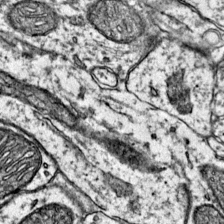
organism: Mouse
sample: Primary visual cortex